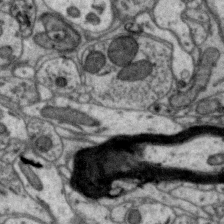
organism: Zebra finch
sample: Brain